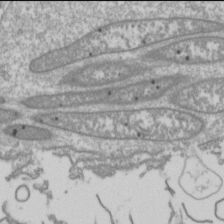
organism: Drosophila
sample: Cell division; meiosis; drosophila spermatocytes